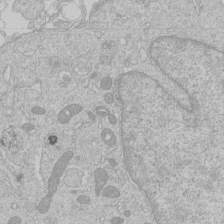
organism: Human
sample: Macrophage cells